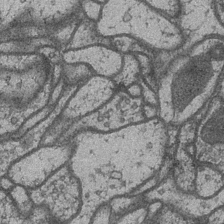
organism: Drosophila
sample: Optic medulla